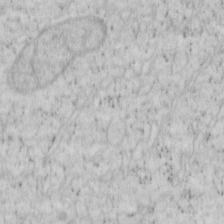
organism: Human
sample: HeLa cells